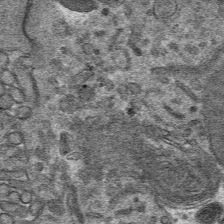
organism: Mouse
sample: Mouse hepatocytes